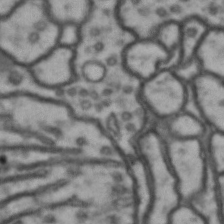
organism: Drosophila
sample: Brain